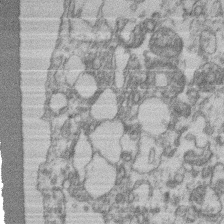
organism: Mouse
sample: T cell stromal cell synapse